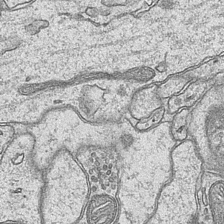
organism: Mouse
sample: CA1 Hippocampus